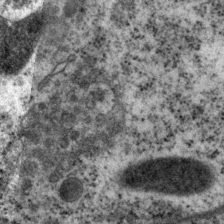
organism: P. pacificus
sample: Pharynx